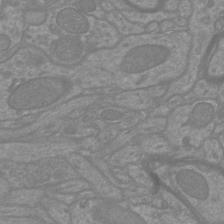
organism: Mouse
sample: Cortical neurons